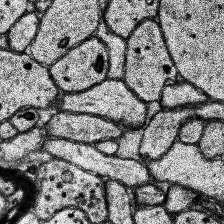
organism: Human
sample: Temporal Lobe